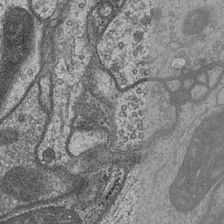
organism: Drosophila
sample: Optic medulla